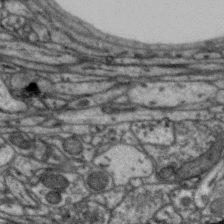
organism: Zebra finch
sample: Brain